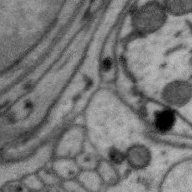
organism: Zebra finch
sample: Brain